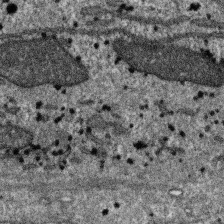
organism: Human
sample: Lung epithelial cells infected with SARS-CoV-2